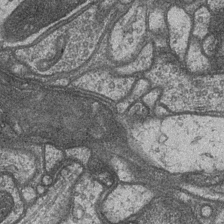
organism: Drosophila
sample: Optic medulla